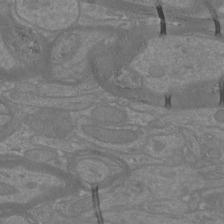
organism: Mouse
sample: Cortical neurons